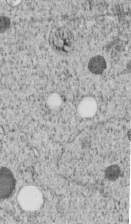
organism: C. elegans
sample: C. elegans embryo early stage